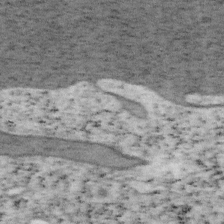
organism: Mouse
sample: OT-I killer T cells with ID8 ovarian cancer cells